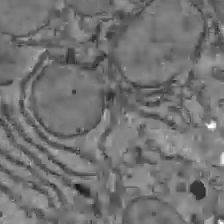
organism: C57BL Mouse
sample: Liver